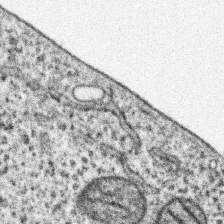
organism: Human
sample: HeLa cells